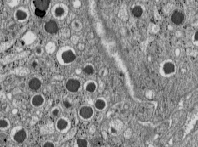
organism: C57BL Mouse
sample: Pancreatic islet